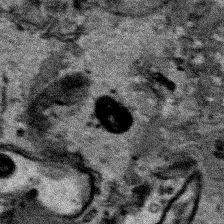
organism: Human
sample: Mitochondria in HCT116 cells